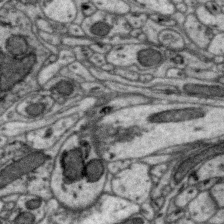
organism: Zebra finch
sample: Brain